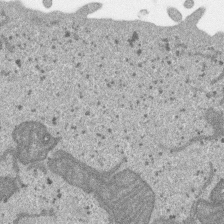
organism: Human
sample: Lung epithelial cells infected with SARS-CoV-2